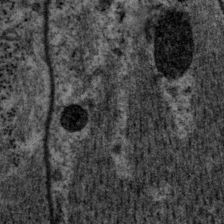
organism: P. pacificus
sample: Pharynx